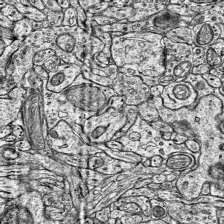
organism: Mouse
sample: Visual Cortex